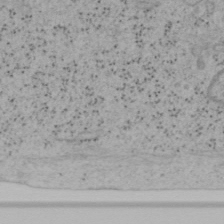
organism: Human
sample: HeLa cells